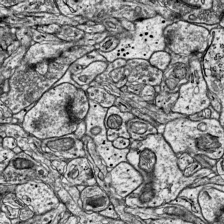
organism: Mouse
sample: Visual Cortex